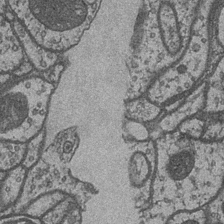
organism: Drosophila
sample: Optic medulla